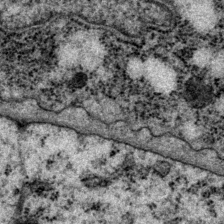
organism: P. pacificus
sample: Pharynx